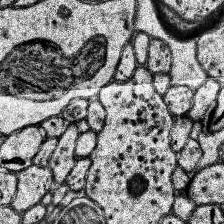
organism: Human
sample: Temporal Lobe